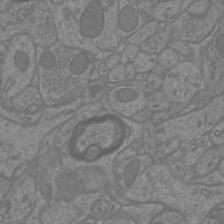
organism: Mouse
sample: Cortical neurons